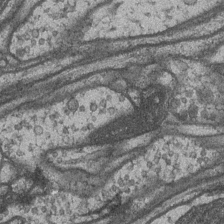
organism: Drosophila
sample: Optic medulla